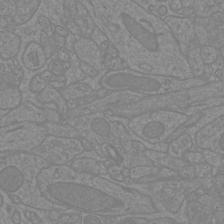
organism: Mouse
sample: Cortical neurons